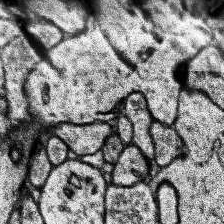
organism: Human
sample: Temporal Lobe